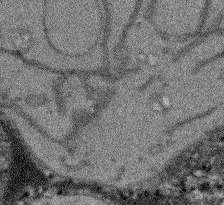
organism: Arabidopsis thaliana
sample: Root tip